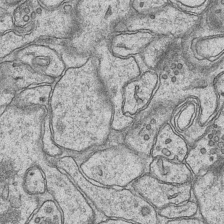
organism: Mouse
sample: CA1 Hippocampus